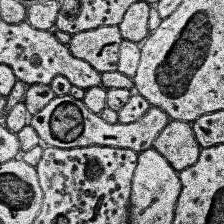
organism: Human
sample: Temporal Lobe